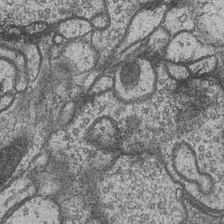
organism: Drosophila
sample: Optic medulla